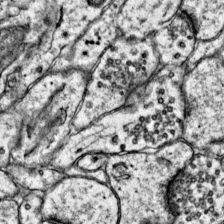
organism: Mouse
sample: Primary visual cortex